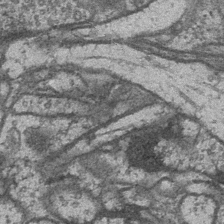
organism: Drosophila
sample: Optic medulla